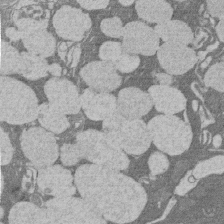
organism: Rat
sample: Salivary granule